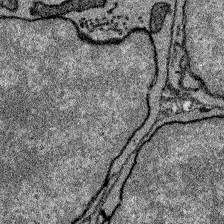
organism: Zebrafish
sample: Larval olfactory bulb